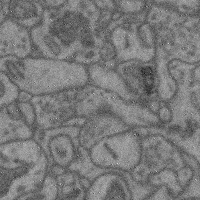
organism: Mouse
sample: Cerebral cortex